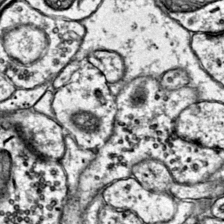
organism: Mouse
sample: Primary visual cortex